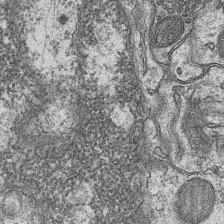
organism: Mouse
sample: CA1 Hippocampus